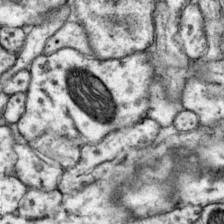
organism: Mouse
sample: Primary visual cortex